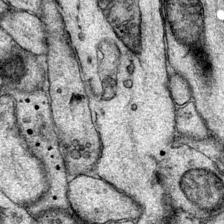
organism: Mouse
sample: Primary visual cortex